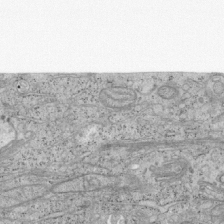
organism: Human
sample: HeLa cells